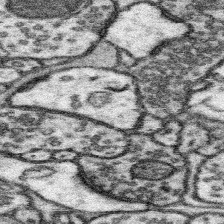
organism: Mouse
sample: Somatosensory cortex neuropil